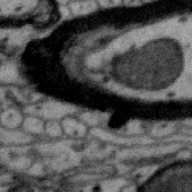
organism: Zebra finch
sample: Brain